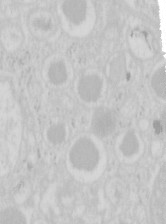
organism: Mouse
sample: Pancreas